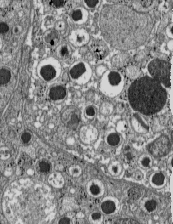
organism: C57BL Mouse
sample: Pancreatic islet